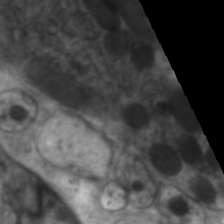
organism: C. elegans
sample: Pharynx